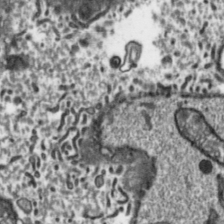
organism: Toxoplasma gondii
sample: Parasites in a vacuole inside a host cell